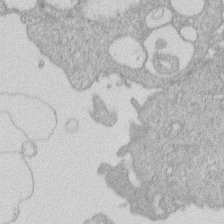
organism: Human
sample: Macrophage cells